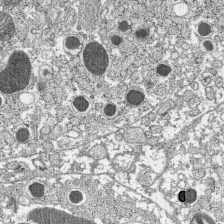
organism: C57BL Mouse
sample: Pancreatic islet